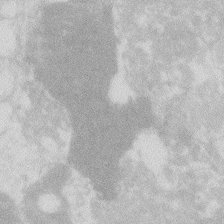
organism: Zebrafish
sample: Macrophage